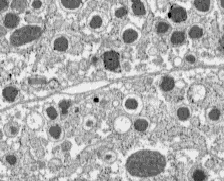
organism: C57BL Mouse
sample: Pancreatic islet